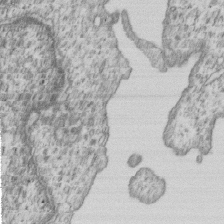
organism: Human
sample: MDA-MB-231 cells